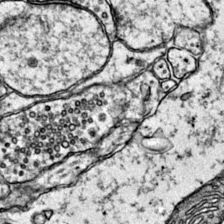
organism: Mouse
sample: Primary visual cortex